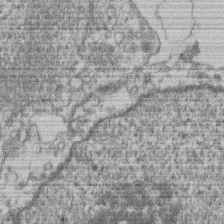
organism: Mouse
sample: T cell stromal cell synapse